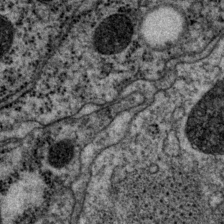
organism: P. pacificus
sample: Pharynx